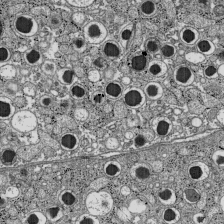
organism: C57BL Mouse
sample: Pancreatic islet